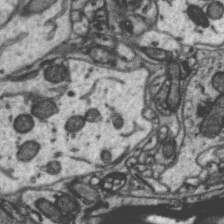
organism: Zebra finch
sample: Brain